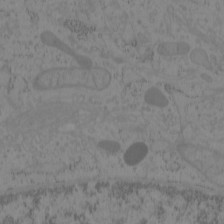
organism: Human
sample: HeLa cells